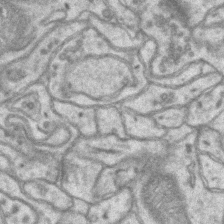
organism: Mouse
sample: CA1 Hippocampus